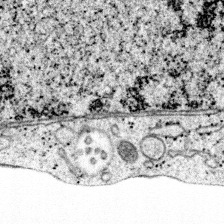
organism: Human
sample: HeLa cells